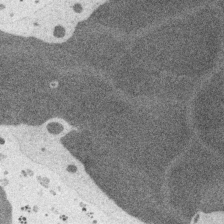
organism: Embia sp.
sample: Silk gland